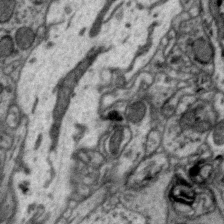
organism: Zebra finch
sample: Brain